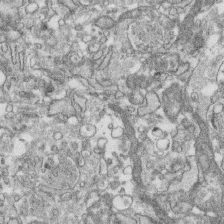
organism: Human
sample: CRL-1474